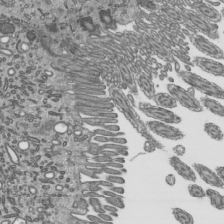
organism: Mouse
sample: Mouse epididymis efferent ductule cilia